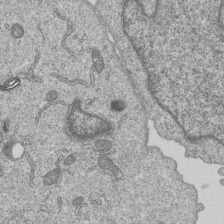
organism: Human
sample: MDA-MB-231 cells